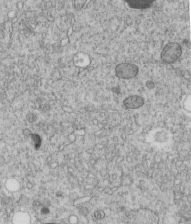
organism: C. elegans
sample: C. elegans embryo early stage